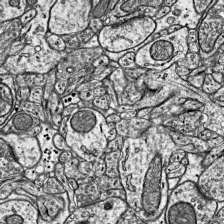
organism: Mouse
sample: Visual Cortex